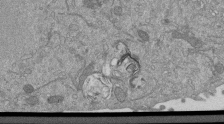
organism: Mouse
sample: ED-1 cell nuclei; centrioles